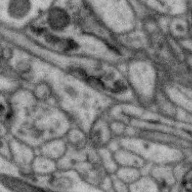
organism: Zebra finch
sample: Brain